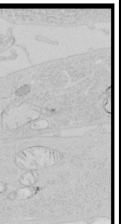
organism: Human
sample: Mitochondria in HCT116 cells